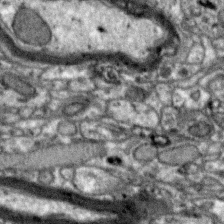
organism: Zebra finch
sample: Brain